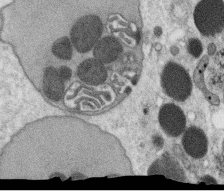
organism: C. elegans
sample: C. elegans oocyte; sperm cells